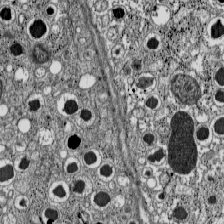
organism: C57BL Mouse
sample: Pancreatic islet